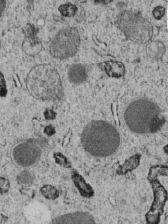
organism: C. elegans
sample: C. elegans embryo early stage